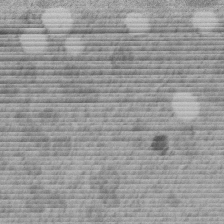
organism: C. elegans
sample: C. elegans embryo early stage